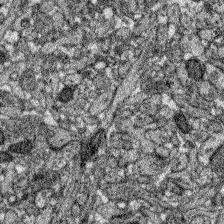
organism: Zebrafish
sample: Larval olfactory bulb